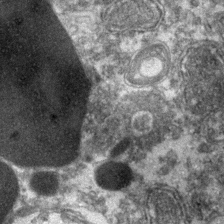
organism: Zebrafish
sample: Zebrafish embryo